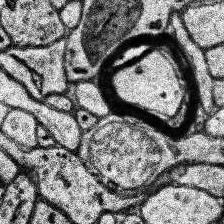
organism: Human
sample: Temporal Lobe